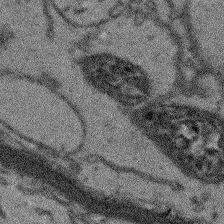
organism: Arabidopsis thaliana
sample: Root tip